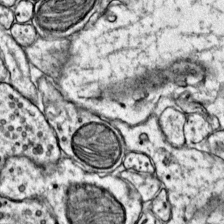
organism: Mouse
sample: Primary visual cortex